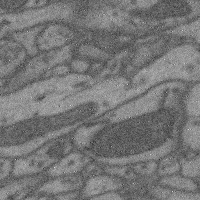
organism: Mouse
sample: Cerebral cortex